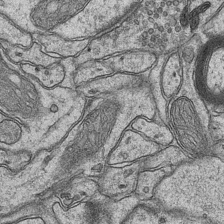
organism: Mouse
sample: CA1 Hippocampus